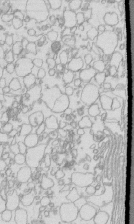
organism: Mouse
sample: Macrophages